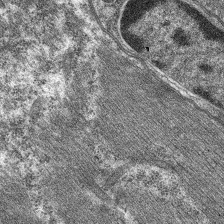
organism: C. elegans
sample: Pharynx